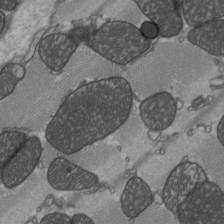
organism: C57BL Mouse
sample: Heart